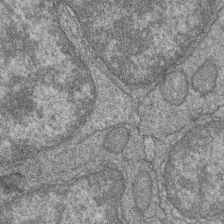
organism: Zebrafish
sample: Cilia; retinal pigment epithelium